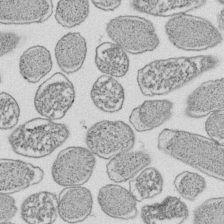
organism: E. coli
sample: Bacterial nucleoid